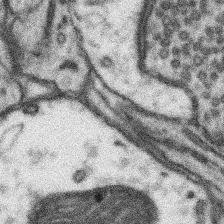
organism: Mouse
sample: Somatosensory cortex neuropil